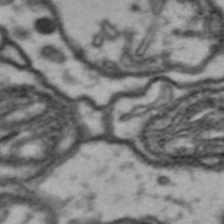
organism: Drosophila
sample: Brain